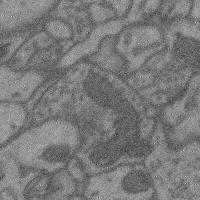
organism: Mouse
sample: Cerebral cortex